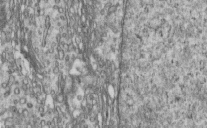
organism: Human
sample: Centriole in RPE cells